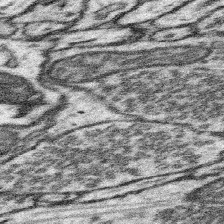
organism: Mouse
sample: Somatosensory cortex neuropil